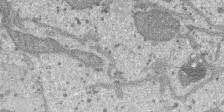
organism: Human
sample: Lung epithelial cells infected with SARS-CoV-2